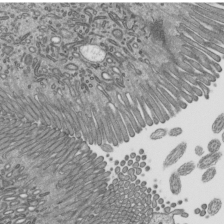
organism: Mouse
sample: Mouse epididymis efferent ductule cilia